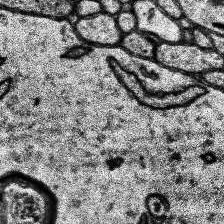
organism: Human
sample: Temporal Lobe